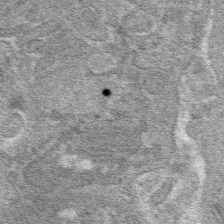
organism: Mouse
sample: Mouse hepatocytes